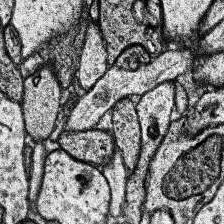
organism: Human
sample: Temporal Lobe